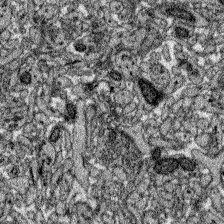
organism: Zebrafish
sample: Larval olfactory bulb